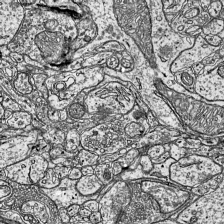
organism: Mouse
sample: Visual Cortex